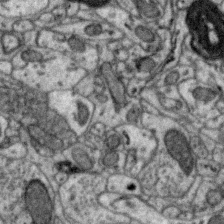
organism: Zebra finch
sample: Brain